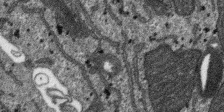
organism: Human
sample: Lung epithelial cells infected with SARS-CoV-2